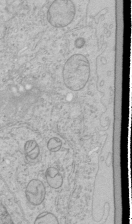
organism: Human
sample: Mitochondria in HCT116 cells